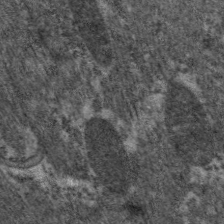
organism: C. elegans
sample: Pharynx